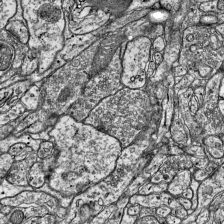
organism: Mouse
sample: Visual Cortex